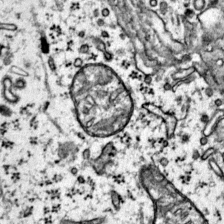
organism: Mouse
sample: Primary visual cortex